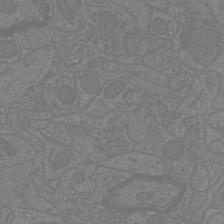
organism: Mouse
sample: Cortical neurons